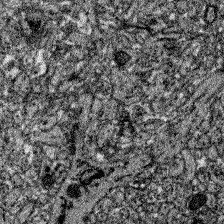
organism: Zebrafish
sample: Larval olfactory bulb